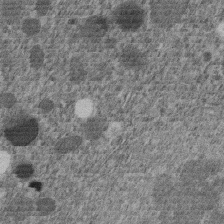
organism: C. elegans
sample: C. elegans embryo early stage